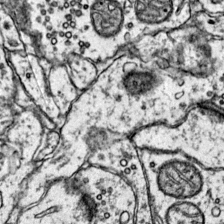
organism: Mouse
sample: Primary visual cortex